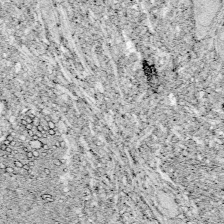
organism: Zebrafish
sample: Whole-Brain